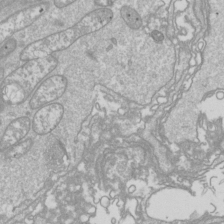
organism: Drosophila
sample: Cell division; meiosis; drosophila spermatocytes